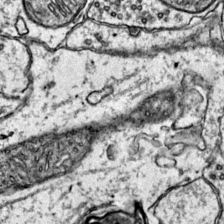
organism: Mouse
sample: Primary visual cortex